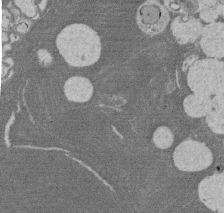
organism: Rat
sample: Salivary granule